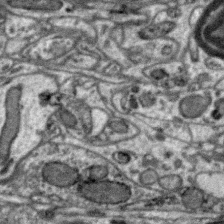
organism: Zebra finch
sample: Brain